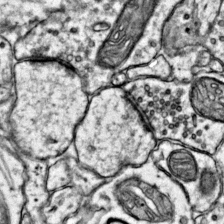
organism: Mouse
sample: Primary visual cortex